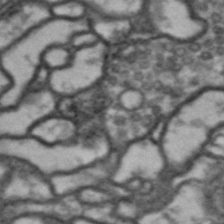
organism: Drosophila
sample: Brain